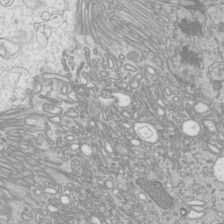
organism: Mouse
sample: Cilia; mouse epididymis